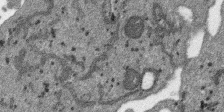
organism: Human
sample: Lung epithelial cells infected with SARS-CoV-2